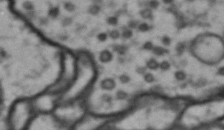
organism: Drosophila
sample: Brain